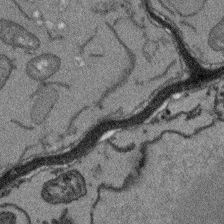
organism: Arabidopsis thaliana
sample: Root tip